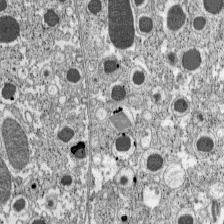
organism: C57BL Mouse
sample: Pancreatic islet